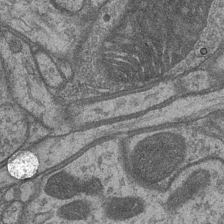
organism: Drosophila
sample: Optic medulla